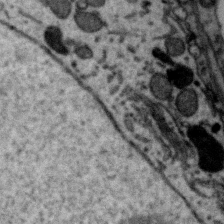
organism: Zebra finch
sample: Brain